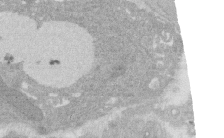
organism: Rat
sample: Salivary granule